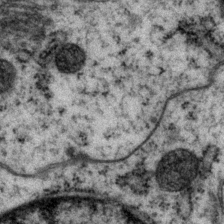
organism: P. pacificus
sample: Pharynx